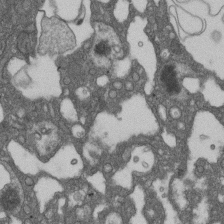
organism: Drosophila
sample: Nephrocyte